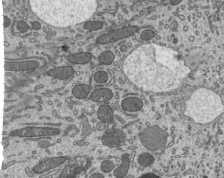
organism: Mouse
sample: Mouse epididymis efferent ductule cilia